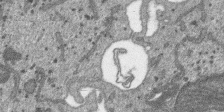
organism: Human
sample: Lung epithelial cells infected with SARS-CoV-2